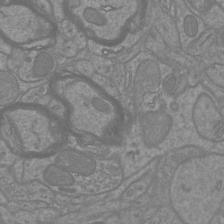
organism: Mouse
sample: Cortical neurons